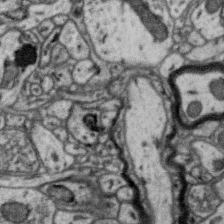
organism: Zebra finch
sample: Brain